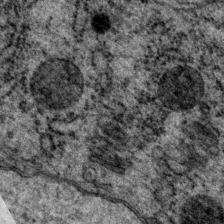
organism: P. pacificus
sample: Pharynx